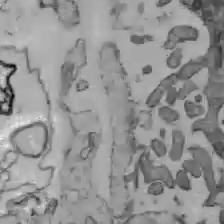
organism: C57BL Mouse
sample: Liver